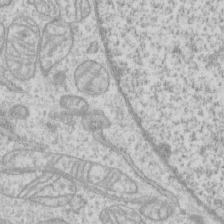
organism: Human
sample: CRL-1474